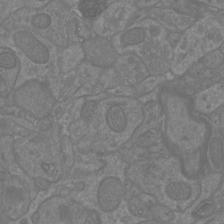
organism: Mouse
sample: Cortical neurons